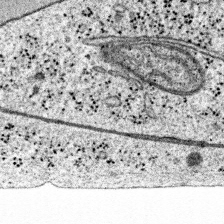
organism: Human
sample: HeLa cells